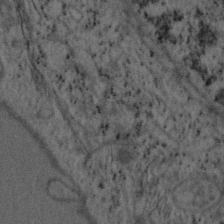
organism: Human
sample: HeLa cells